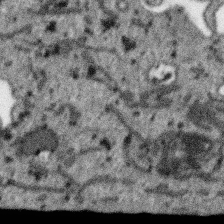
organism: Human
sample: Lung epithelial cells infected with SARS-CoV-2